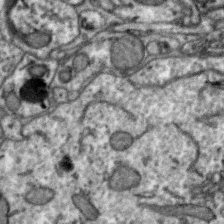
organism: Zebra finch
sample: Brain